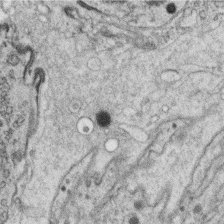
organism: C. elegans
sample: C. elegans oocyte; sperm cells